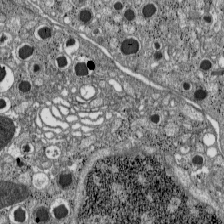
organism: C57BL Mouse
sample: Pancreatic islet